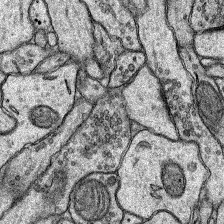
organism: Rat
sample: Hippocampus